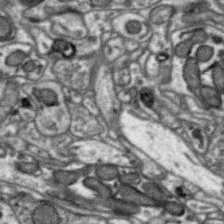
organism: Zebra finch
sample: Brain